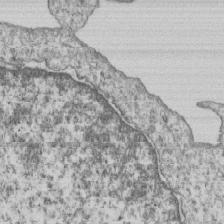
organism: Human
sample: MDA-MB-231 cells